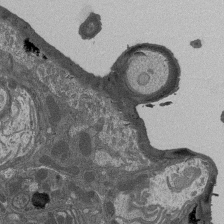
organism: Drosophila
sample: Antenna